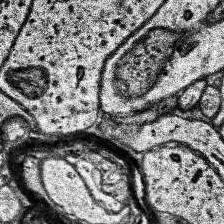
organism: Human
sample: Temporal Lobe